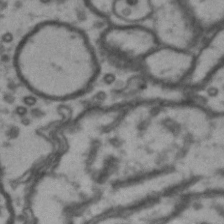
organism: Drosophila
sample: Brain